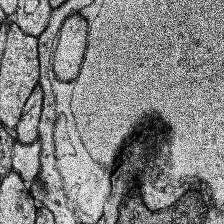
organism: Human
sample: Temporal Lobe